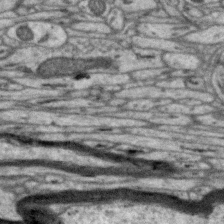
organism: Zebra finch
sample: Brain